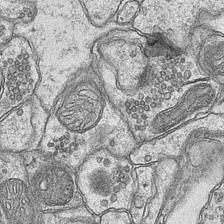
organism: Mouse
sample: CA1 Hippocampus